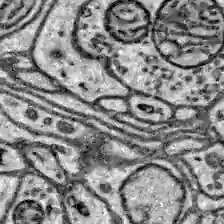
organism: Zebrafish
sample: Brain